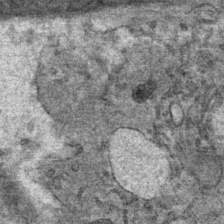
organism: Mouse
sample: Mouse Salivary gland